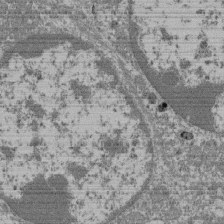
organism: Mouse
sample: Glomerulus